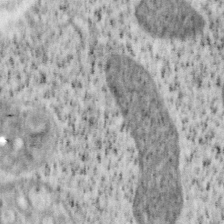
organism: Mouse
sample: OT-I killer T cells with ID8 ovarian cancer cells